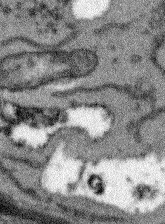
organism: Arabidopsis thaliana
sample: Root tip